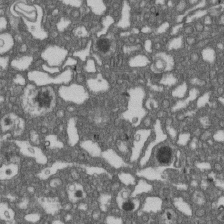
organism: Drosophila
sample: Nephrocyte